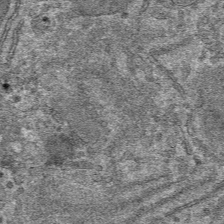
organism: Mouse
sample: Mouse hepatocytes